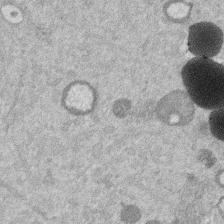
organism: Mouse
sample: Dividing mouse embryo 1 cell stage